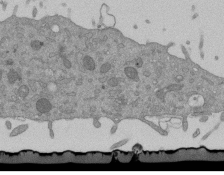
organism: Mouse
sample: ED-1 cell nuclei; centrioles